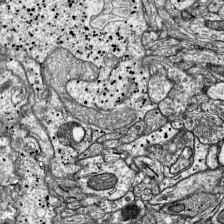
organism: Mouse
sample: Visual Cortex